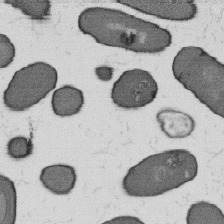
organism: B. subtilis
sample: Bacterial spore